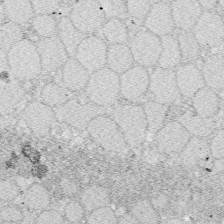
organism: Zebrafish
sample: Whole-Brain